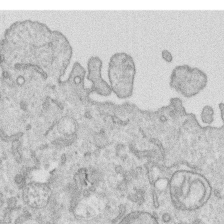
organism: Human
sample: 1205lu cells